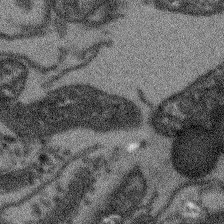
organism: Arabidopsis thaliana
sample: Root tip